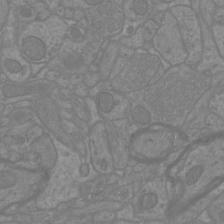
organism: Mouse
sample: Cortical neurons